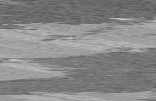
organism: C57BL Mouse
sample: Heart